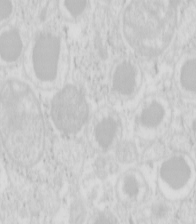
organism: Mouse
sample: Pancreas